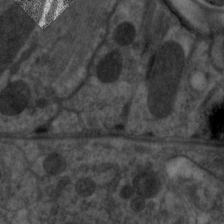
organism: C. elegans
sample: Pharynx